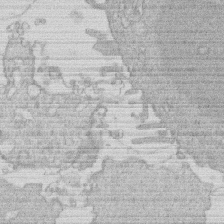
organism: Human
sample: Macrophage cells